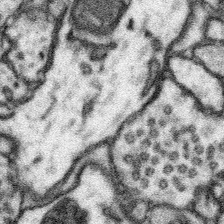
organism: Mouse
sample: Somatosensory cortex neuropil